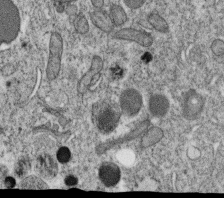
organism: C. elegans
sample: C. elegans oocyte; sperm cells